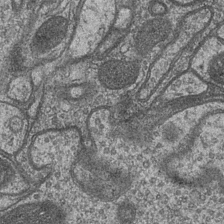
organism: Drosophila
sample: Optic medulla